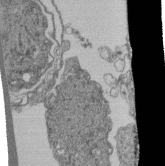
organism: Human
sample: Retinal organoid Rod and Cone cells